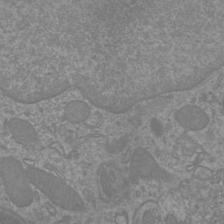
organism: Mouse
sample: Cortical neurons